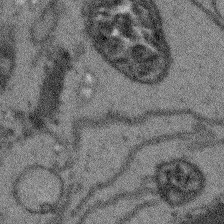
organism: Arabidopsis thaliana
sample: Root tip